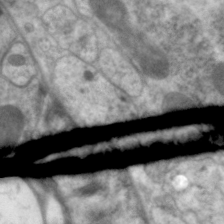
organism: C. elegans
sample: Pharynx